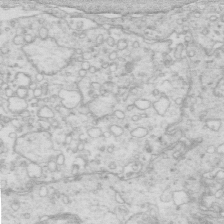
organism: Mouse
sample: Multiciliated cells